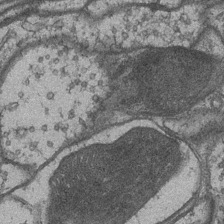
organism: Drosophila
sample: Optic medulla